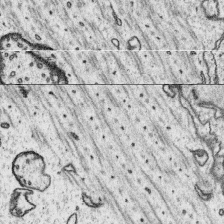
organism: Platynereis dumerilii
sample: Parapodia